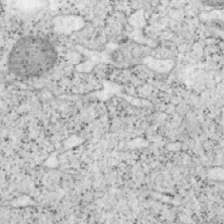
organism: Mouse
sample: OT-I killer T cells with ID8 ovarian cancer cells